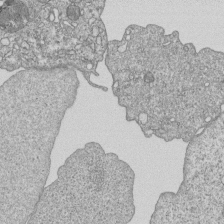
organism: Human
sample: MDA-MB-231 cells